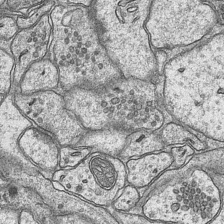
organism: Mouse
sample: CA1 Hippocampus